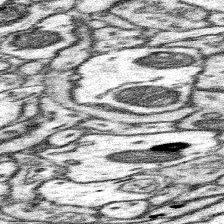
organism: Mouse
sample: Somatosensory cortex neuropil